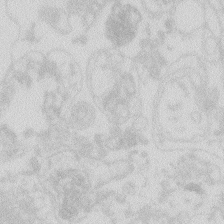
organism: Zebrafish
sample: Macrophage